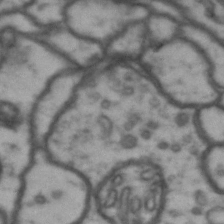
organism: Drosophila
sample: Brain